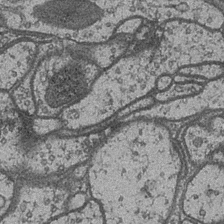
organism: Drosophila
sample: Optic medulla